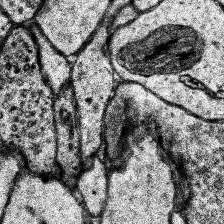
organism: Human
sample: Temporal Lobe